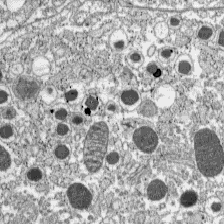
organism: C57BL Mouse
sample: Pancreatic islet